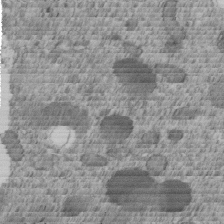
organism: C. elegans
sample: C. elegans embryo early stage